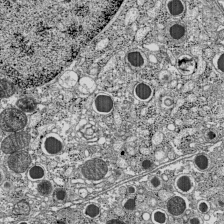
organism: C57BL Mouse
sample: Pancreatic islet